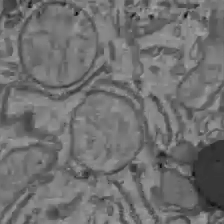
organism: C57BL Mouse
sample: Liver